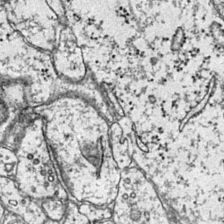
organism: Mouse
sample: Primary visual cortex